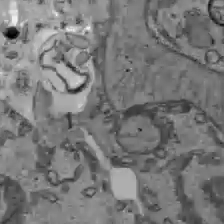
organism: C57BL Mouse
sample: Liver